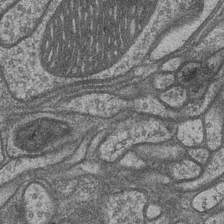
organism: Drosophila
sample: Optic medulla